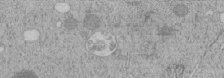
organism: C. elegans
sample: C. elegans embryo early stage